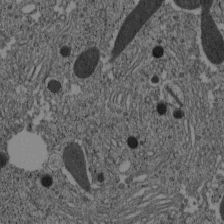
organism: C57BL Mouse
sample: Pancreatic islet